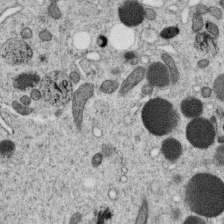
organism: C. elegans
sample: C. elegans oocyte; sperm cells